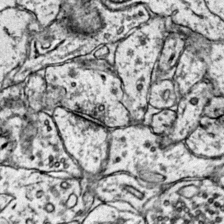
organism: Mouse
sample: Primary visual cortex